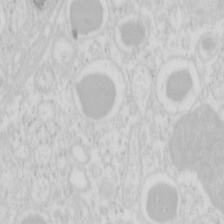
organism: Mouse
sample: Pancreas